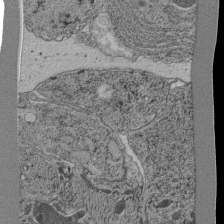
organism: C. elegans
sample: C. elegans pharynx